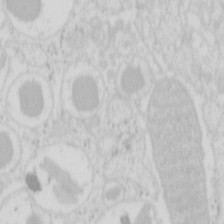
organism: Mouse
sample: Pancreas